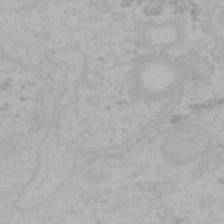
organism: Mouse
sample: Choroid plexus